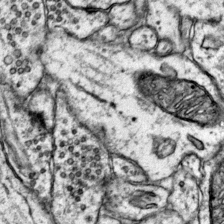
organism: Mouse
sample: Primary visual cortex